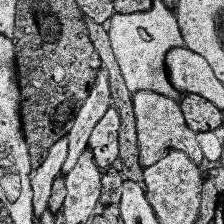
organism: Human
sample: Temporal Lobe